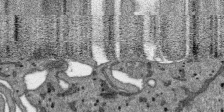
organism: Human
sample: Lung epithelial cells, uninfected (mock) control